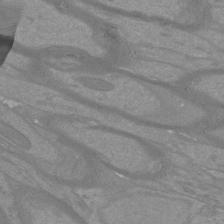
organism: Mouse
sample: Cortical neurons